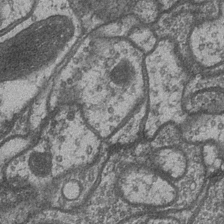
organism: Drosophila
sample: Optic medulla